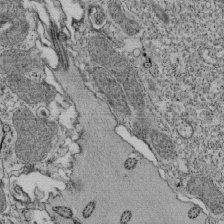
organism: Tetrahymena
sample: Cilia in tetrahymena